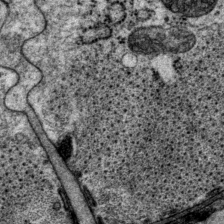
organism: P. pacificus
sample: Pharynx